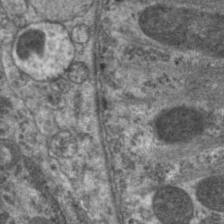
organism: C. elegans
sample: Pharynx